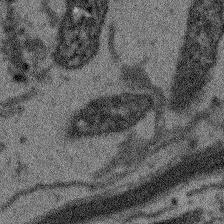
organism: Arabidopsis thaliana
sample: Root tip